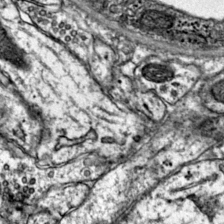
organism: Mouse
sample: Primary visual cortex